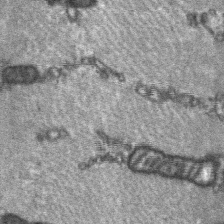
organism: C57BL Mouse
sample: Soleus